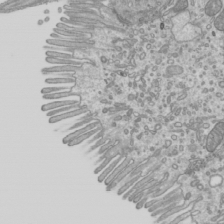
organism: Mouse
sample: Cilia; mouse epididymis